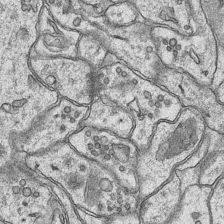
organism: Mouse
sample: CA1 Hippocampus